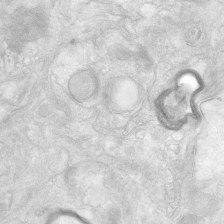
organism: Human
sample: Neocortex